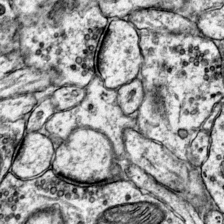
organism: Mouse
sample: Primary visual cortex